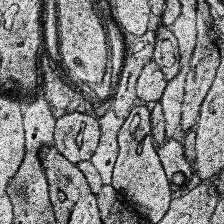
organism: Human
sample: Temporal Lobe